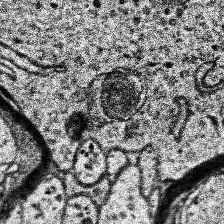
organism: Human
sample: Temporal Lobe